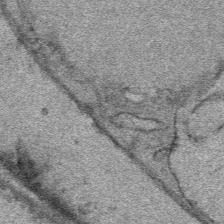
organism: Mouse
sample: Mouse Salivary gland